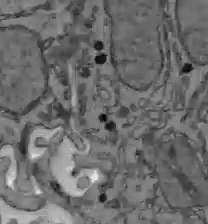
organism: C57BL Mouse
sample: Liver